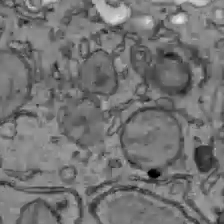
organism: C57BL Mouse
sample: Liver